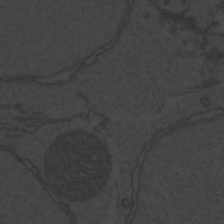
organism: Zebrafish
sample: Macrophage infected with Toxoplasma gondii